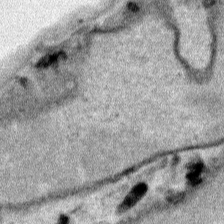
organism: Human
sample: Mitochondria in HCT116 cells